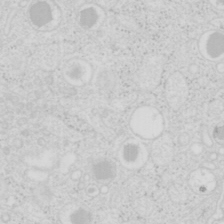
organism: Mouse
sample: Pancreas